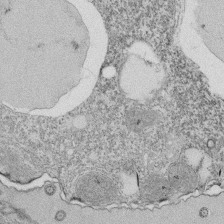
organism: Tetrahymena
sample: Cilia in tetrahymena